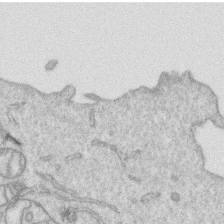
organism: Human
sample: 1205lu cells